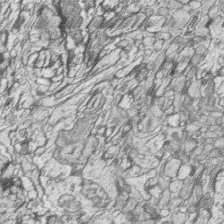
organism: Zebrafish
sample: synaptic ribbons in rod cells and cone cells